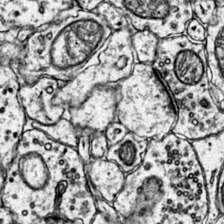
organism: Mouse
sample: Primary visual cortex